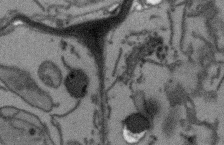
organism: Arabidopsis thaliana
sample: Root tip